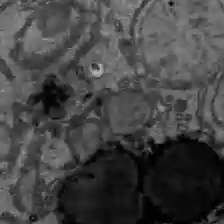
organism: C57BL Mouse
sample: Liver